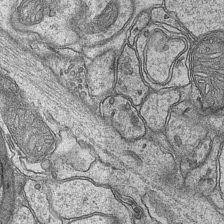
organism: Mouse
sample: CA1 Hippocampus